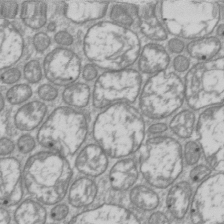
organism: Drosophila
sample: Cell division; meiosis; drosophila spermatocytes